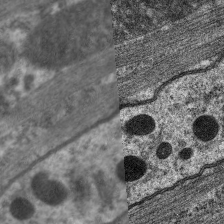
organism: C. elegans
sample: Pharynx